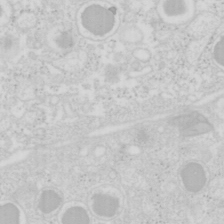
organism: Mouse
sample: Pancreas